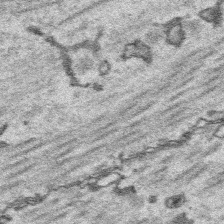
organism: Platynereis dumerilii